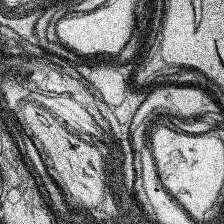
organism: Human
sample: Temporal Lobe